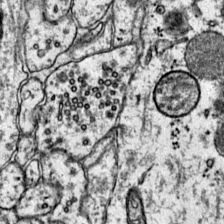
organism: Mouse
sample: Primary visual cortex